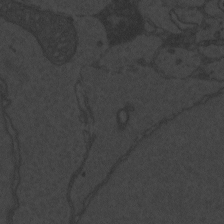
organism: Zebrafish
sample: Macrophage infected with Toxoplasma gondii